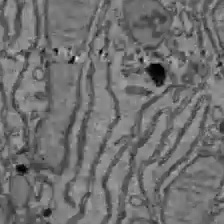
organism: C57BL Mouse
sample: Liver